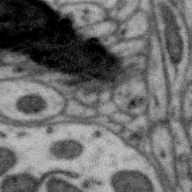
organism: Zebra finch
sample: Brain